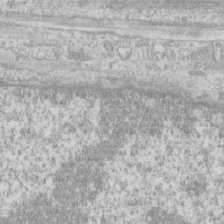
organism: Human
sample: CRL-1474